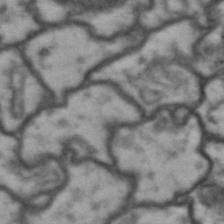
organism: Drosophila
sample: Brain